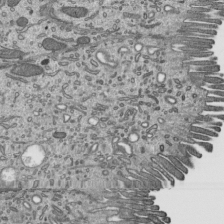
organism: Mouse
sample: Mouse epididymis efferent ductule cilia